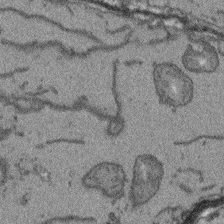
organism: Arabidopsis thaliana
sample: Root tip